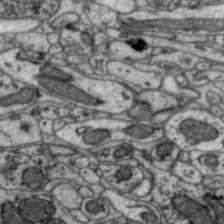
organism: Zebra finch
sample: Brain